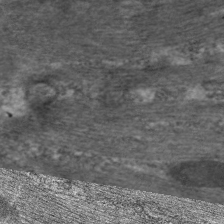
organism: C. elegans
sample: Pharynx